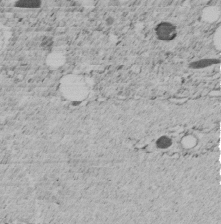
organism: C. elegans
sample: C. elegans embryo early stage